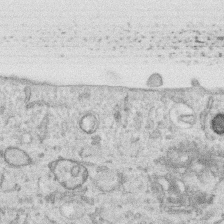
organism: Human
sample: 1205lu cells